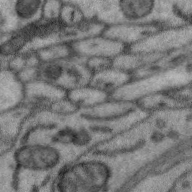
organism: Zebra finch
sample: Brain